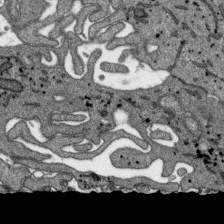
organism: Human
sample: Lung epithelial cells, uninfected (mock) control